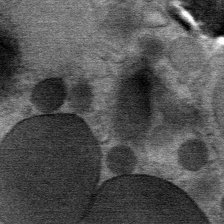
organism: Mouse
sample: Mouse Salivary gland